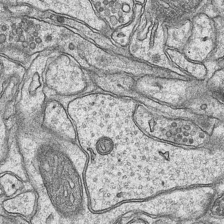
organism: Mouse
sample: CA1 Hippocampus